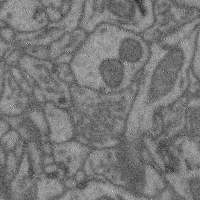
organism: Mouse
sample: Cerebral cortex